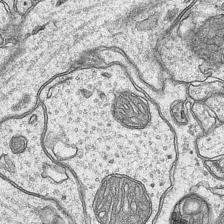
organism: Mouse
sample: CA1 Hippocampus